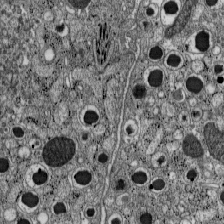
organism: C57BL Mouse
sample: Pancreatic islet